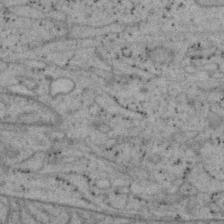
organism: Human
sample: HeLa cells